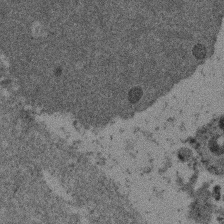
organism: Mouse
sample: Dividing mouse embryo 1 cell stage